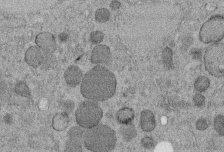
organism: C. elegans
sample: C. elegans embryo early stage